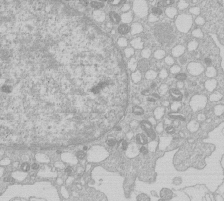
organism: Human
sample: Macrophage cells